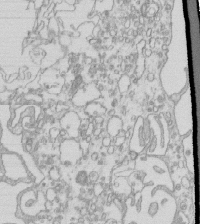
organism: Mouse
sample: Macrophages